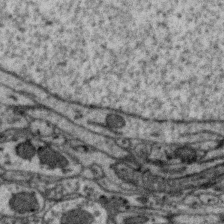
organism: Zebra finch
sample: Brain